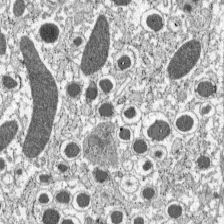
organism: C57BL Mouse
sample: Pancreatic islet